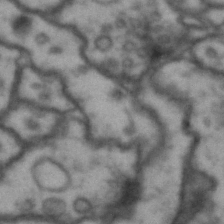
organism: Drosophila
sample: Brain